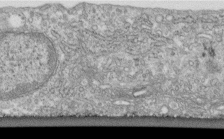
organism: Human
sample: Centriole in fibroblast cells